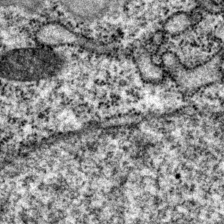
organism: P. pacificus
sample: Pharynx